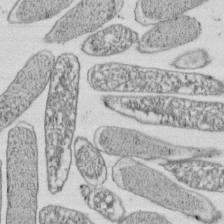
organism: E. coli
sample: Bacterial nucleoid